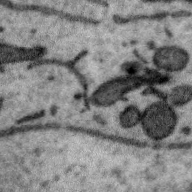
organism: Zebra finch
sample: Brain